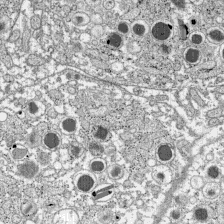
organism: C57BL Mouse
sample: Pancreatic islet